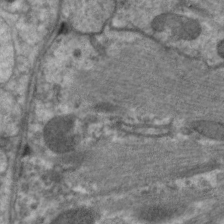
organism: C. elegans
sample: Pharynx